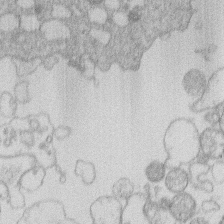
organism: Human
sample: Macrophage cells